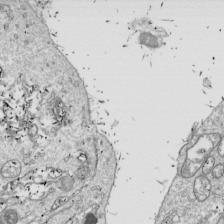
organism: Drosophila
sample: Cell division; meiosis; drosophila spermatocytes